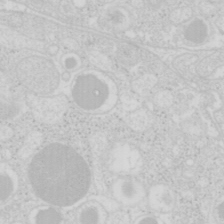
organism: Mouse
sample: Pancreas